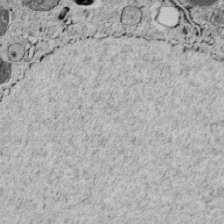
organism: C. elegans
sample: C. elegans embryo early stage